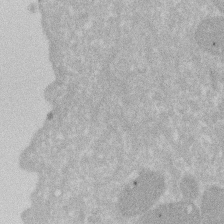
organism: Human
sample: HIV infected U937 cells